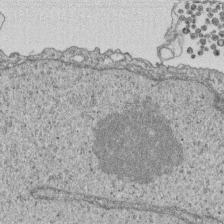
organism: Human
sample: HeLa cell HIV synapse